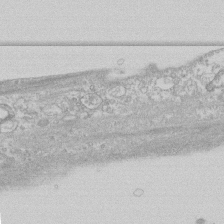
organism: Human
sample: CRL-1474